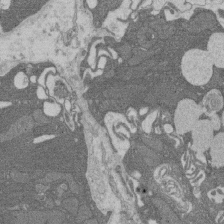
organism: Rat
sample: Salivary granule